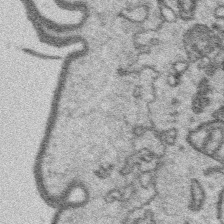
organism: Platynereis dumerilii